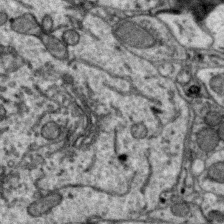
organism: Zebra finch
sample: Brain